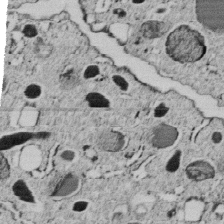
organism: C. elegans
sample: C. elegans embryo early stage